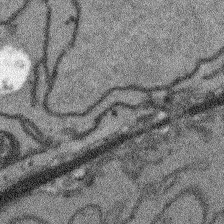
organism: Arabidopsis thaliana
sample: Root tip